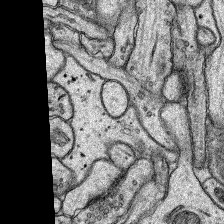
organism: Rat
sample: Hippocampus